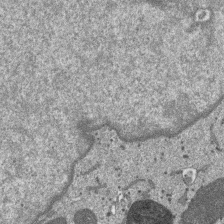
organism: Human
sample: Lung epithelial cells infected with SARS-CoV-2